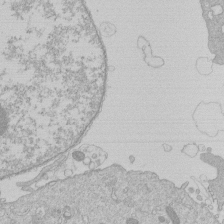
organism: Human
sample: Macrophage cells